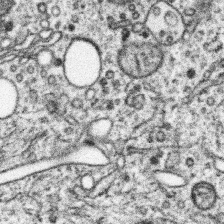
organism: Human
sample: HeLa cells